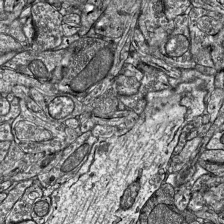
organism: Mouse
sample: Visual Cortex